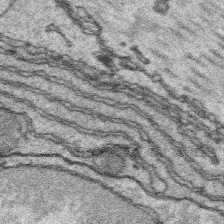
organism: Platynereis dumerilii